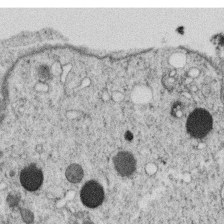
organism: C. elegans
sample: C. elegans oocyte; sperm cells